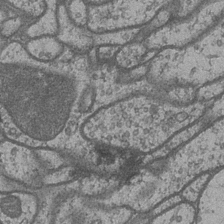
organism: Drosophila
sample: Optic medulla